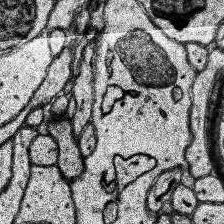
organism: Human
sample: Temporal Lobe